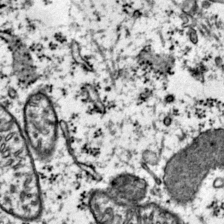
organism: Mouse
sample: Primary visual cortex